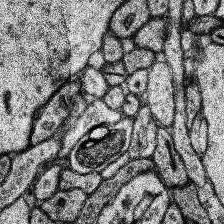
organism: Human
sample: Temporal Lobe